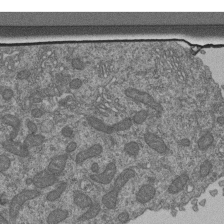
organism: Human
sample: Retinal organoid Rod and Cone cells